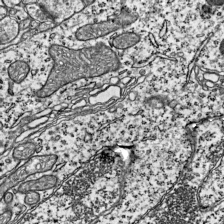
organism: Mouse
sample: Visual Cortex